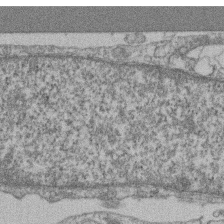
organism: Mouse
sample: T cell stromal cell synapse